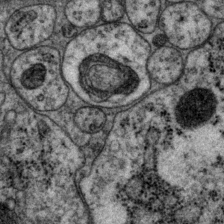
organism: P. pacificus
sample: Pharynx